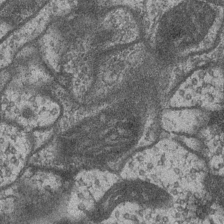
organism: Drosophila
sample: Optic medulla